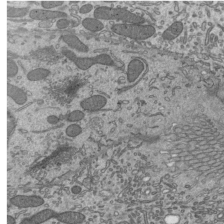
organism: Mouse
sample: Mouse epididymis efferent ductule cilia